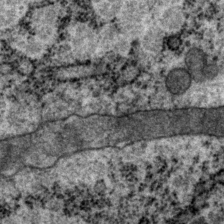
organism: P. pacificus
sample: Pharynx